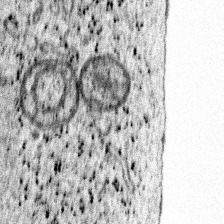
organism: Human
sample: HeLa cells